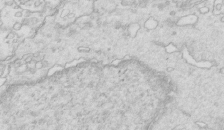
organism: Mouse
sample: Multiciliated cells